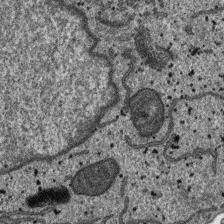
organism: Human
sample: Lung epithelial cells infected with SARS-CoV-2